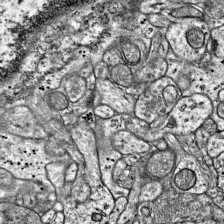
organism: Mouse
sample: Visual Cortex